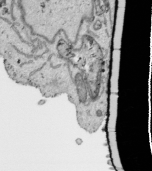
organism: Human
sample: Mitochondria in HCT116 cells